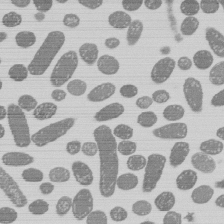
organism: E. coli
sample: Bacterial nucleoid